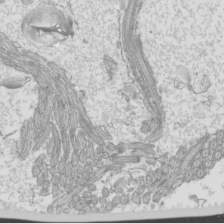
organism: Mouse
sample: Cilia; mouse epididymis